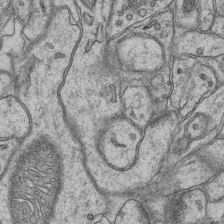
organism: Mouse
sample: CA1 Hippocampus